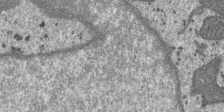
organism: Human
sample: Lung epithelial cells infected with SARS-CoV-2